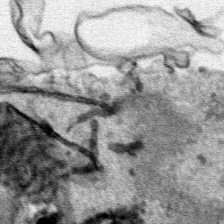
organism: Human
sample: Mitochondria in HCT116 cells